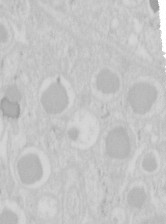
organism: Mouse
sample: Pancreas